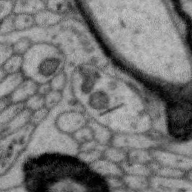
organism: Zebra finch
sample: Brain